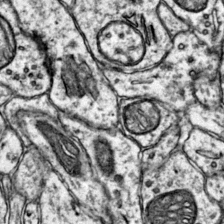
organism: Mouse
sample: Primary visual cortex